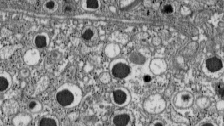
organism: C57BL Mouse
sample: Pancreatic islet